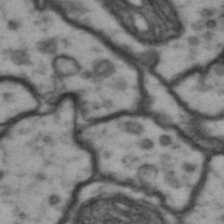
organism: Drosophila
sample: Brain